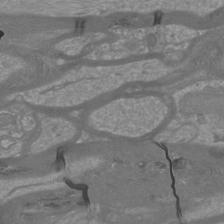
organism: Mouse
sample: Cortical neurons